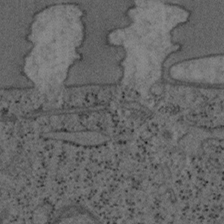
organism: Human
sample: HeLa cells